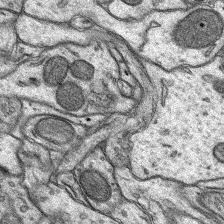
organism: Rat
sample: Hippocampus